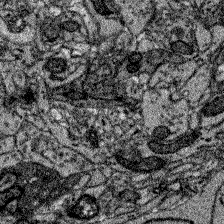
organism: Zebrafish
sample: Larval olfactory bulb